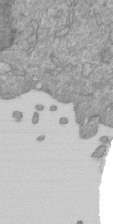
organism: Mouse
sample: ED-1 cell nuclei; centrioles